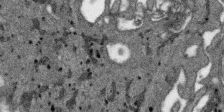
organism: Human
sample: Lung epithelial cells, uninfected (mock) control